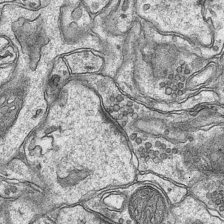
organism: Mouse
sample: CA1 Hippocampus